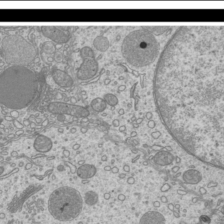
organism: Mouse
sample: Cilia; mouse epididymis